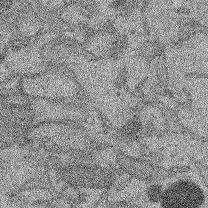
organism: Human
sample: HeLa cells